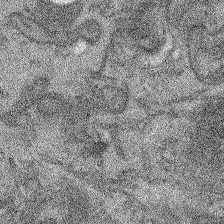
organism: Human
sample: HeLa cells